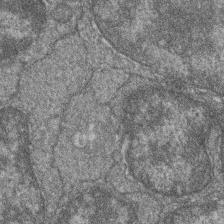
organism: Zebrafish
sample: Cilia; retinal pigment epithelium